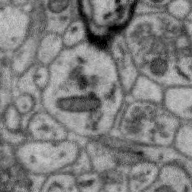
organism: Zebra finch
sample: Brain